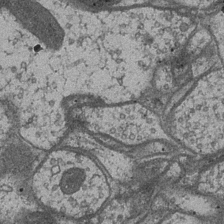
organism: Drosophila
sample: Optic medulla